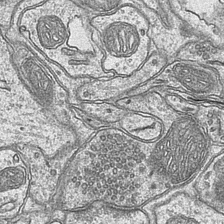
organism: Mouse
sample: CA1 Hippocampus